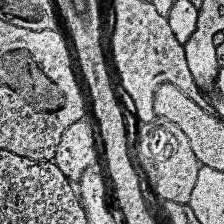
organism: Human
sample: Temporal Lobe